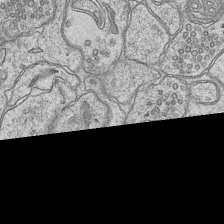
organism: Mouse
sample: CA1 Hippocampus